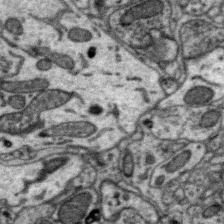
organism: Zebra finch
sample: Brain